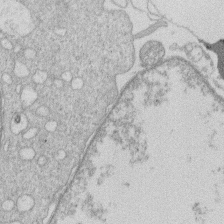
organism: Human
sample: Macrophage cells